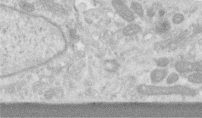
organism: Human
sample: Centriole in RPE cells